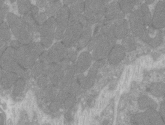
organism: C57BL Mouse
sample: Tibialis anterior muscle cell